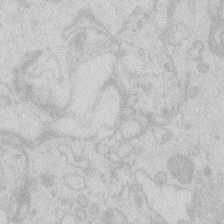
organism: Zebrafish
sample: Macrophage